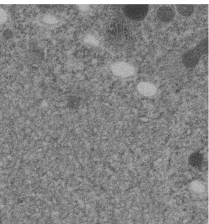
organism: C. elegans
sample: C. elegans embryo early stage